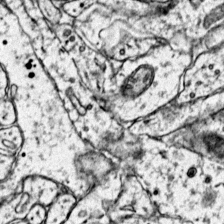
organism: Mouse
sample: Primary visual cortex